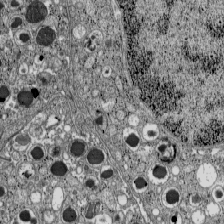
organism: C57BL Mouse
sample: Pancreatic islet